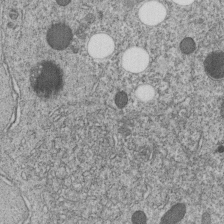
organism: C. elegans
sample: C. elegans embryo early stage